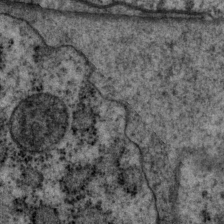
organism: P. pacificus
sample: Pharynx